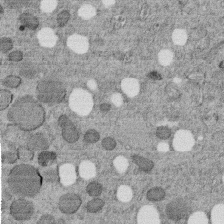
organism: C. elegans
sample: C. elegans embryo early stage